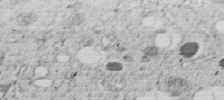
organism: C. elegans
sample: C. elegans embryo early stage